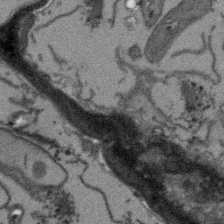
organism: Arabidopsis thaliana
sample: Root tip